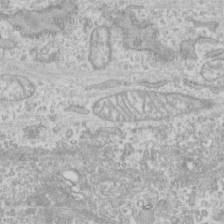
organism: Human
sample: CRL-1474